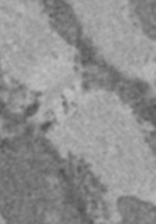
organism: C57BL Mouse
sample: Heart